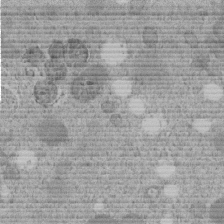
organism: C. elegans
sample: C. elegans embryo early stage